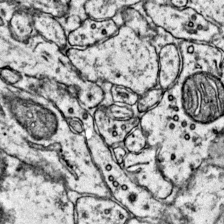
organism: Mouse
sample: Primary visual cortex